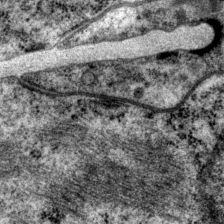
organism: P. pacificus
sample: Pharynx